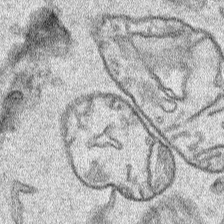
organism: Human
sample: Mitochondria in HCT116 cells